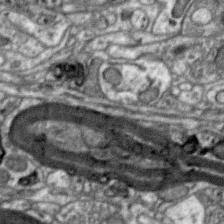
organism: Zebra finch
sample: Brain